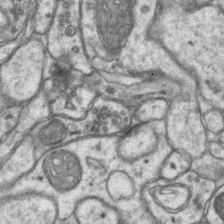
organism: Mouse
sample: CA1 Hippocampus